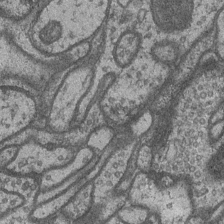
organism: Drosophila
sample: Optic medulla